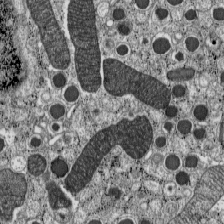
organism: C57BL Mouse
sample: Pancreatic islet